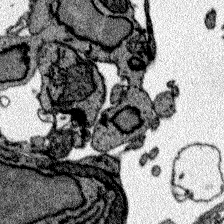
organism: Zebrafish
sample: Larval olfactory bulb